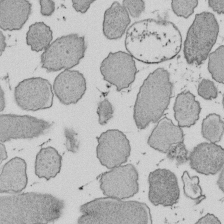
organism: E. coli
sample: Bacterial nucleoid